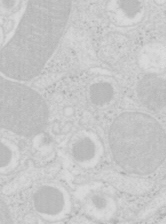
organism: Mouse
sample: Pancreas